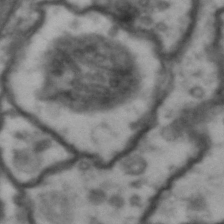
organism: Drosophila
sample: Brain